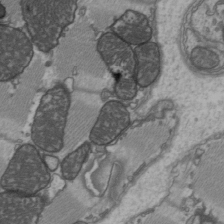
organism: C57BL Mouse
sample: Heart